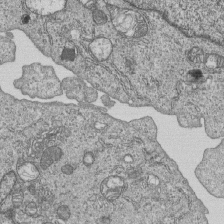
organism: Human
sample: MDA-MB-231 cells